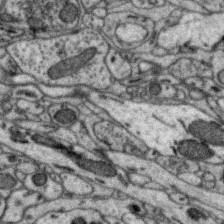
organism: Zebra finch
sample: Brain